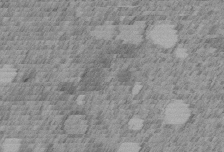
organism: C. elegans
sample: C. elegans embryo early stage